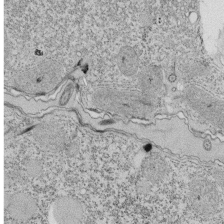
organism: Tetrahymena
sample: Cilia in tetrahymena